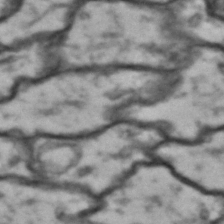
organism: Drosophila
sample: Brain